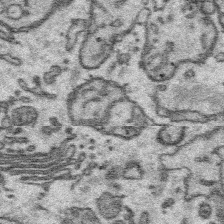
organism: Platynereis dumerilii